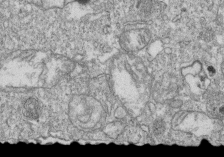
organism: Human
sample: HeLa cell HIV synapse